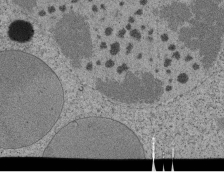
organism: Tetrahymena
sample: Cilia in tetrahymena